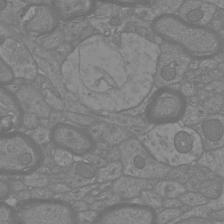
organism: Mouse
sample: Cortical neurons